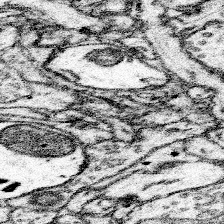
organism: Mouse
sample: Somatosensory cortex neuropil